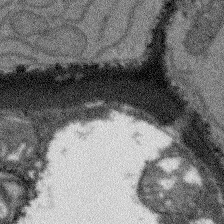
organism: Arabidopsis thaliana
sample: Root tip